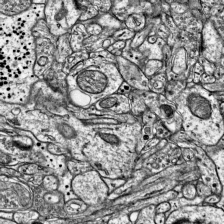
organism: Mouse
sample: Visual Cortex